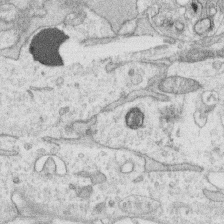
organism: Human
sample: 1205lu cells